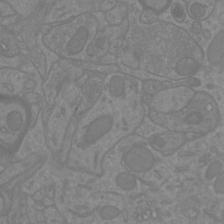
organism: Mouse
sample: Cortical neurons